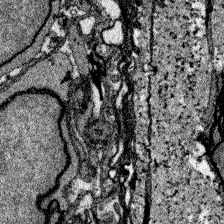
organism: Zebrafish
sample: Larval olfactory bulb